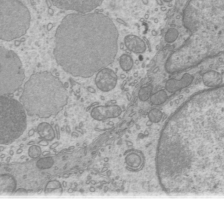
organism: Mouse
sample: Cilia; mouse epididymis